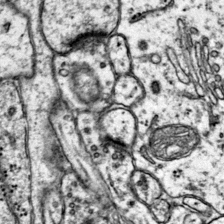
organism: Mouse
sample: Primary visual cortex